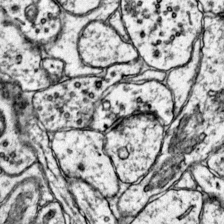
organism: Mouse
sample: Primary visual cortex